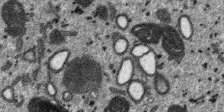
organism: Human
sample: Lung epithelial cells infected with SARS-CoV-2